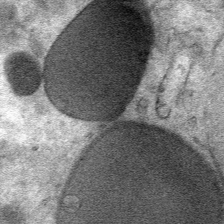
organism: Mouse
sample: Mouse Salivary gland